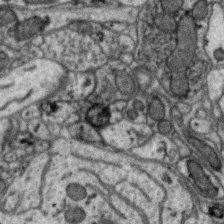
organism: Zebra finch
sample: Brain